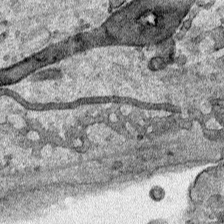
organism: Human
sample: Mitochondria in HCT116 cells